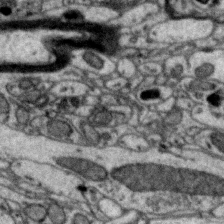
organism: Zebra finch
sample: Brain